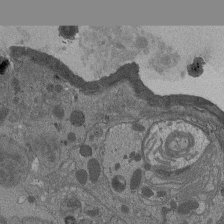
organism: Drosophila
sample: Antenna